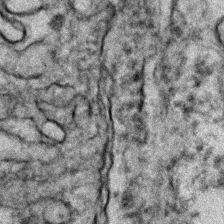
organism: Zebrafish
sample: Zebrafish embryo